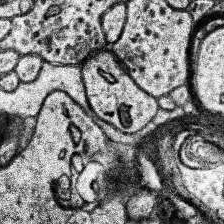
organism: Human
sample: Temporal Lobe